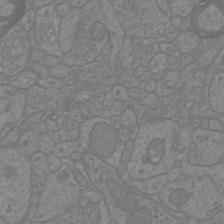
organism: Mouse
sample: Cortical neurons